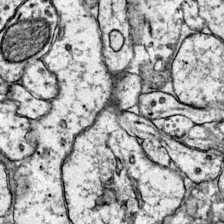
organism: Mouse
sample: Primary visual cortex